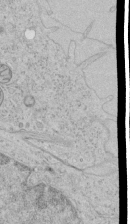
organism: Human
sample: Mitochondria in HCT116 cells